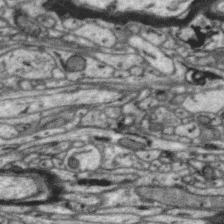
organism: Zebra finch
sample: Brain